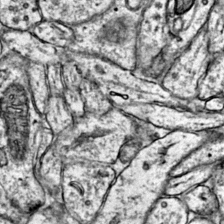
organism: Mouse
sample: Primary visual cortex